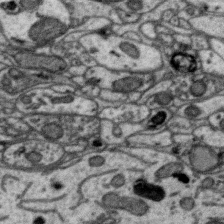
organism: Zebra finch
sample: Brain